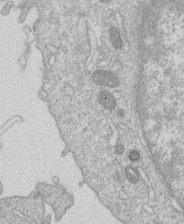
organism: Human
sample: Macrophage cells